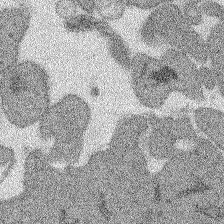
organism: Human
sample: HeLa cells